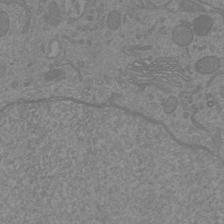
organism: Mouse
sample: Cortical neurons